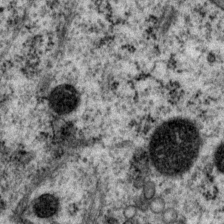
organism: P. pacificus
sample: Pharynx